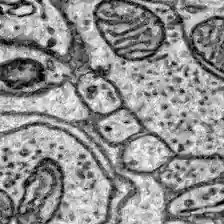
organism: Zebrafish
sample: Brain